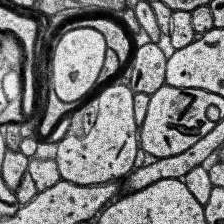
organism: Human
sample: Temporal Lobe